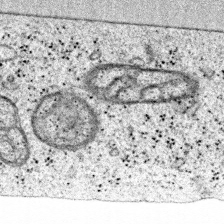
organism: Human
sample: HeLa cells